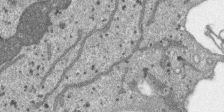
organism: Human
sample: Lung epithelial cells infected with SARS-CoV-2